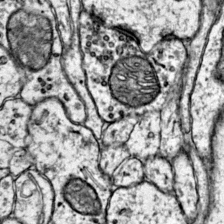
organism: Mouse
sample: Primary visual cortex